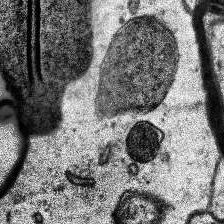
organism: Human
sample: Temporal Lobe